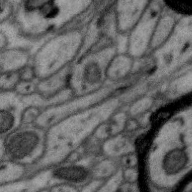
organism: Zebra finch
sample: Brain